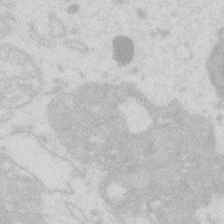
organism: Zebrafish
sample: Macrophage